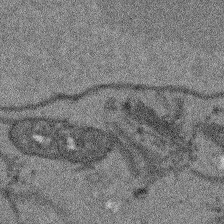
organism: Arabidopsis thaliana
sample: Root tip